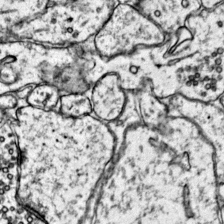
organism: Mouse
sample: Primary visual cortex